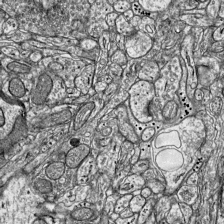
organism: Mouse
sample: Visual Cortex